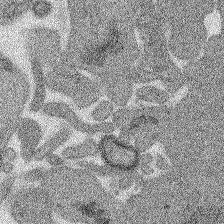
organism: Human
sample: HeLa cells